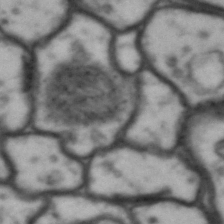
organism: Drosophila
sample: Brain